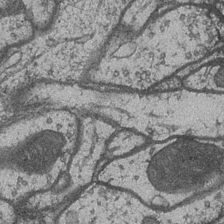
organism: Drosophila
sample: Optic medulla